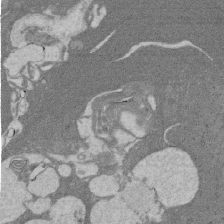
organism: Rat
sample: Salivary granule